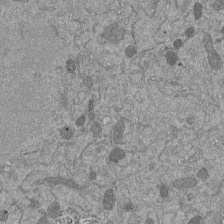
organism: Mouse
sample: ED-1 cell nuclei; centrioles